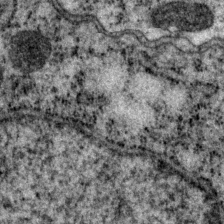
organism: P. pacificus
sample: Pharynx